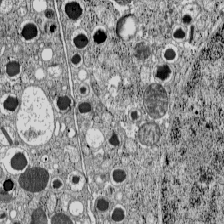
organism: C57BL Mouse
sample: Pancreatic islet